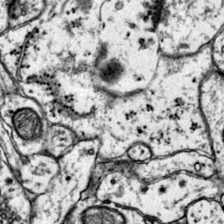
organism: Mouse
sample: Primary visual cortex